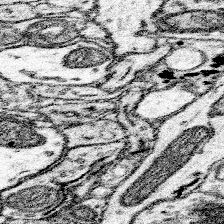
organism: Mouse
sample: Somatosensory cortex neuropil